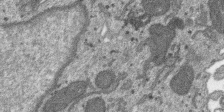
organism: Human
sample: Lung epithelial cells infected with SARS-CoV-2